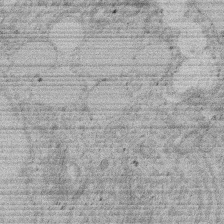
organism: Rat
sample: Salivary granule